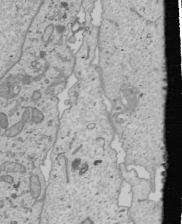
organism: Human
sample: Mitochondria in U2OS cells